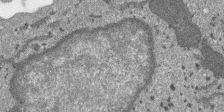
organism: Human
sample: Lung epithelial cells infected with SARS-CoV-2